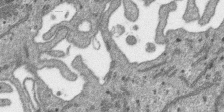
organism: Human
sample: Lung epithelial cells infected with SARS-CoV-2